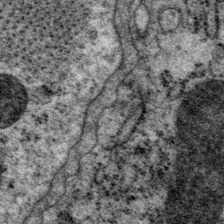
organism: P. pacificus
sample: Pharynx